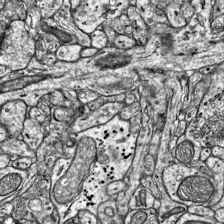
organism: Mouse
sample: Visual Cortex